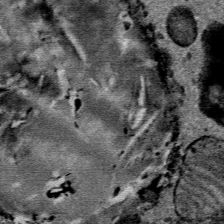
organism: Mouse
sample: Mouse Salivary gland